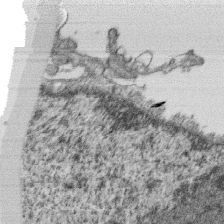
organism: African green monkey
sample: Vero E6 cells infected with SARS-CoV-2